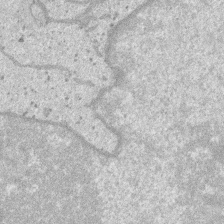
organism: Human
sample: Lung epithelial cells infected with SARS-CoV-2